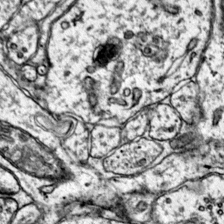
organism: Mouse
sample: Primary visual cortex